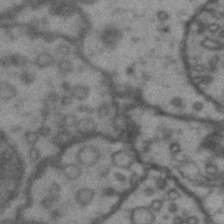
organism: Drosophila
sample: Brain